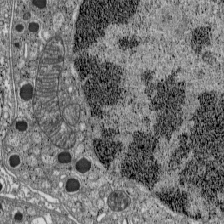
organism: C57BL Mouse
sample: Pancreatic islet